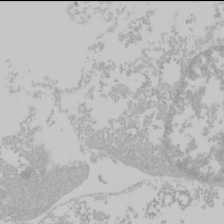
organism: Mouse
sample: Cancer cell death in ED-1 cells